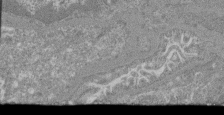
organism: Mouse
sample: Glomerulus